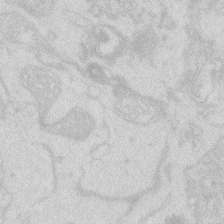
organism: Zebrafish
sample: Macrophage